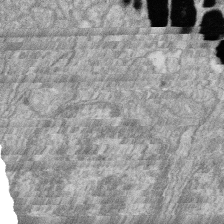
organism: Zebrafish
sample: Cilia; retinal pigment epithelium